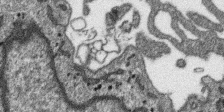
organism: Human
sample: Lung epithelial cells infected with SARS-CoV-2